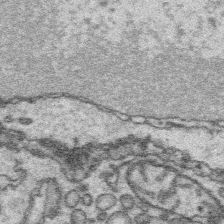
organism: Platynereis dumerilii